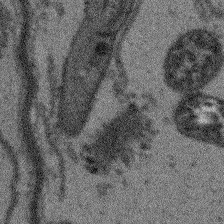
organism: Arabidopsis thaliana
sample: Root tip